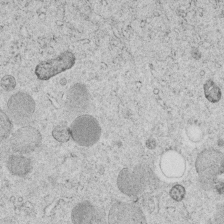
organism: C. elegans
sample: C. elegans embryo early stage